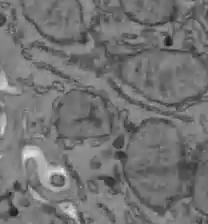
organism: C57BL Mouse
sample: Liver